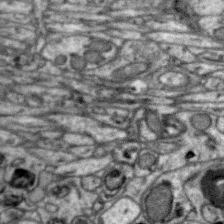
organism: Zebra finch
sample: Brain